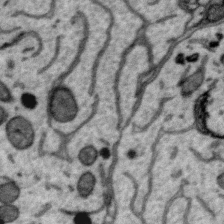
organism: Zebra finch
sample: Brain